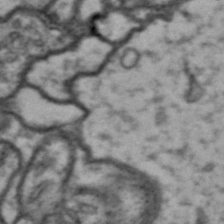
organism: Drosophila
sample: Brain